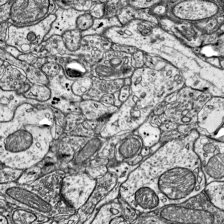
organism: Mouse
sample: Visual Cortex